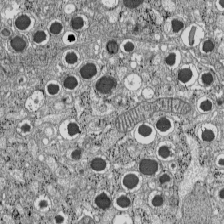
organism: C57BL Mouse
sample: Pancreatic islet